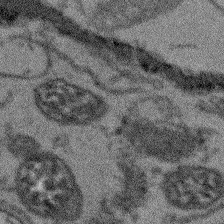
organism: Arabidopsis thaliana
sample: Root tip